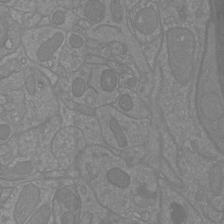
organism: Mouse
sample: Cortical neurons